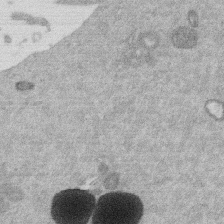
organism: Mouse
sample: Dividing mouse embryo 1 cell stage